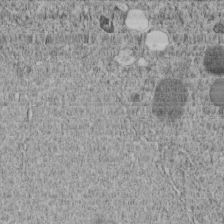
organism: C. elegans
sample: C. elegans embryo early stage